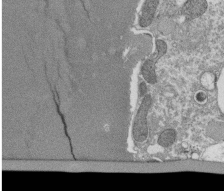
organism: Tetrahymena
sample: Cilia in tetrahymena